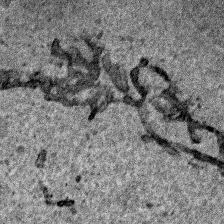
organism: Human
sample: Mitochondria in HCT116 cells